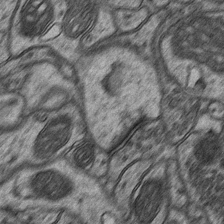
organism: Mouse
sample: CA1 Hippocampus